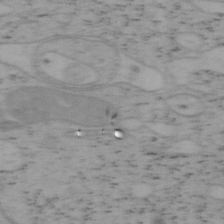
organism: Mouse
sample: OT-I killer T cells with ID8 ovarian cancer cells